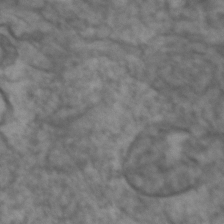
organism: Zebrafish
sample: Zebrafish embryo